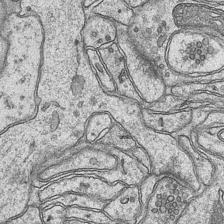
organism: Mouse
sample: CA1 Hippocampus